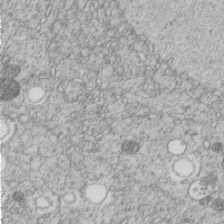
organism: C. elegans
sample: C. elegans embryo early stage